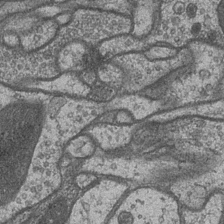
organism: Drosophila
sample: Optic medulla